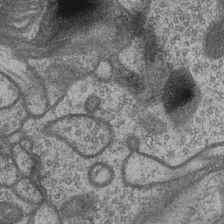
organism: Drosophila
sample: Optic medulla